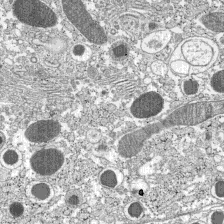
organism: C57BL Mouse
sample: Pancreatic islet